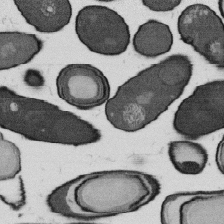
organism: B. subtilis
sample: Bacterial spore